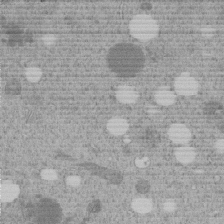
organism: C. elegans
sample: C. elegans embryo early stage